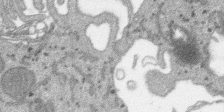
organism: Human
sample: Lung epithelial cells infected with SARS-CoV-2